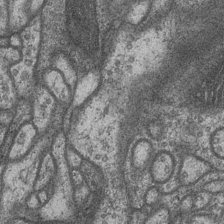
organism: Drosophila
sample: Optic medulla